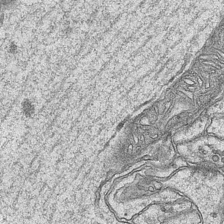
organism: Mouse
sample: CA1 Hippocampus